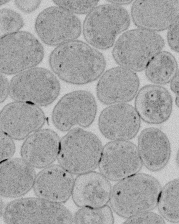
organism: E. coli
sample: Bacterial nucleoid